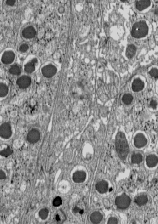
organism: C57BL Mouse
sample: Pancreatic islet